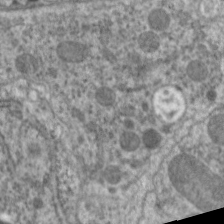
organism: C. elegans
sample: Pharynx